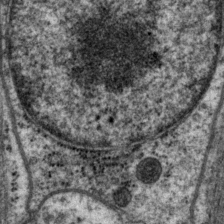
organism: P. pacificus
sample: Pharynx